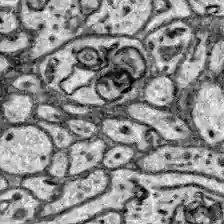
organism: Zebrafish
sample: Brain